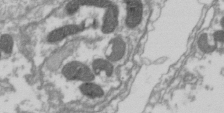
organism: Drosophila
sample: Cell division; meiosis; drosophila spermatocytes